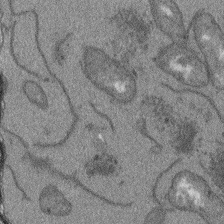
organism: Arabidopsis thaliana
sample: Root tip